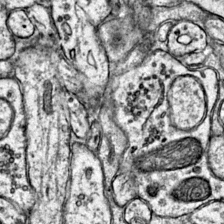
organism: Mouse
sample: Primary visual cortex